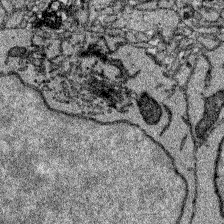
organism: Zebrafish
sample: Larval olfactory bulb